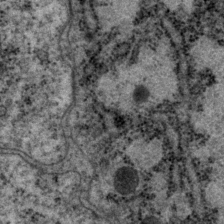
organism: P. pacificus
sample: Pharynx